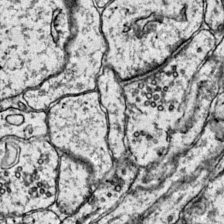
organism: Mouse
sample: Primary visual cortex